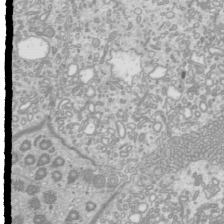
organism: Mouse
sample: Cilia; mouse epididymis